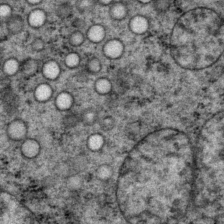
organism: P. pacificus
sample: Pharynx